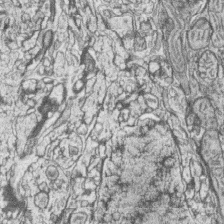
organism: Zebrafish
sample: synaptic ribbons in rod cells and cone cells